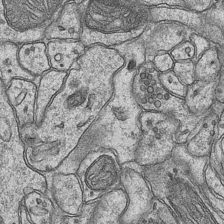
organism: Mouse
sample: CA1 Hippocampus